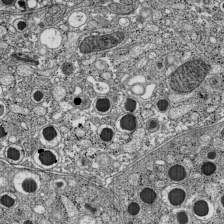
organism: C57BL Mouse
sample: Pancreatic islet